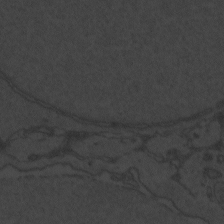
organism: Zebrafish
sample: Macrophage infected with Toxoplasma gondii